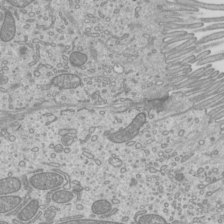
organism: Mouse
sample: Cilia; mouse epididymis